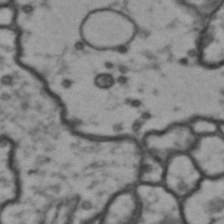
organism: Drosophila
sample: Brain